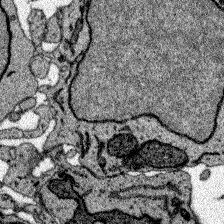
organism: Zebrafish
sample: Larval olfactory bulb